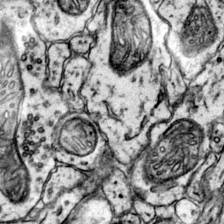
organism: Mouse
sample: Primary visual cortex